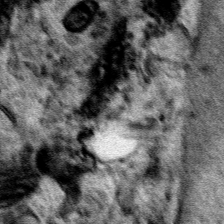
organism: Human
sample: Mitochondria in HCT116 cells